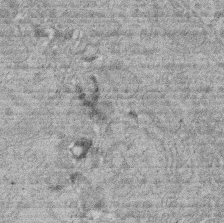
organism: Rat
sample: Salivary granule